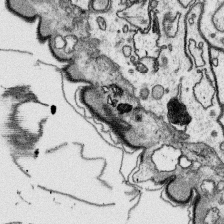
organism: Platynereis dumerilii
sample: Parapodia